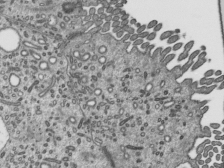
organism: Mouse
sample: Mouse epididymis efferent ductule cilia